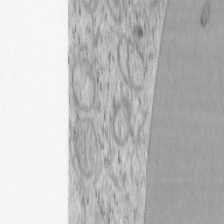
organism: Human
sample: HeLa cells